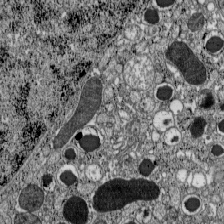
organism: C57BL Mouse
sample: Pancreatic islet